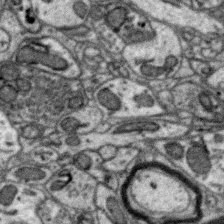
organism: Zebra finch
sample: Brain